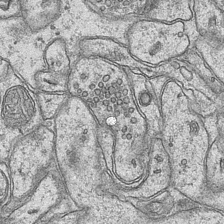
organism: Mouse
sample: CA1 Hippocampus